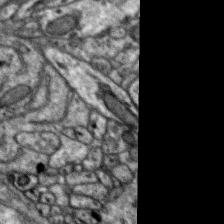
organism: Zebra finch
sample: Brain